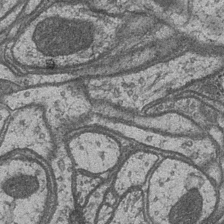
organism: Drosophila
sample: Optic medulla